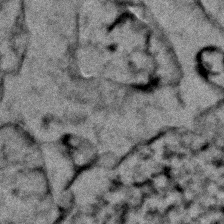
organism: Zebrafish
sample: Zebrafish embryo